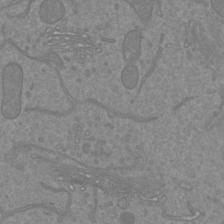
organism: Mouse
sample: Cortical neurons